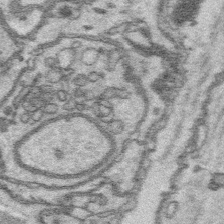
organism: Platynereis dumerilii